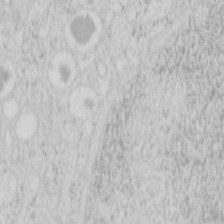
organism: Mouse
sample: Pancreas